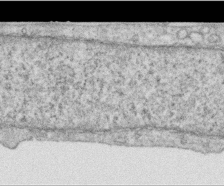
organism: Human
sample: Centriole in RPE cells